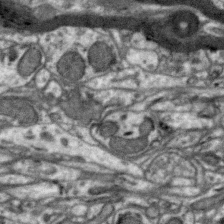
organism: Zebra finch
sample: Brain